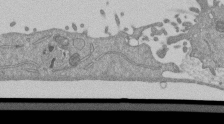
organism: Mouse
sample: ED-1 cell nuclei; centrioles